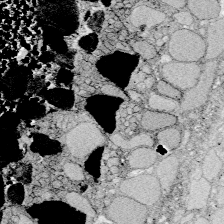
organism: Zebrafish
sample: Whole-Brain